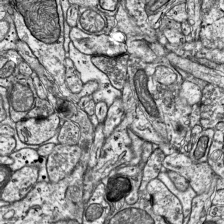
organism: Mouse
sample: Visual Cortex